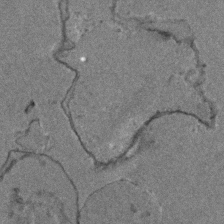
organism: Zebrafish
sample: Zebrafish embryo